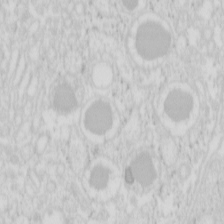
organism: Mouse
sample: Pancreas